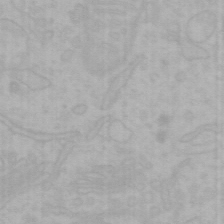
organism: Mouse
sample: Choroid plexus